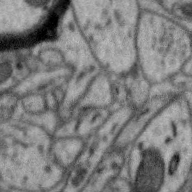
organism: Zebra finch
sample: Brain